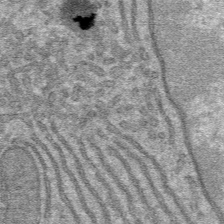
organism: Mouse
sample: Mouse hepatocytes